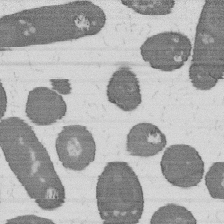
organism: B. subtilis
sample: Bacterial spore